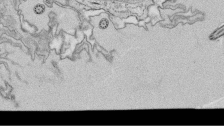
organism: Tetrahymena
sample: Cilia in tetrahymena